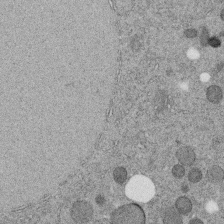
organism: C. elegans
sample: C. elegans embryo early stage